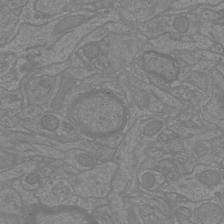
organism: Mouse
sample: Cortical neurons